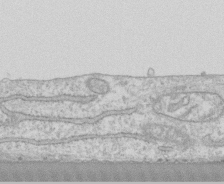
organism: Human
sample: CRL-1474